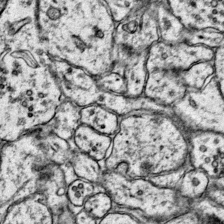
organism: Mouse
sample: Primary visual cortex